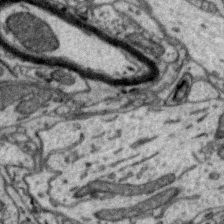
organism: Zebra finch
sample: Brain